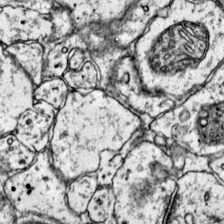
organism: Mouse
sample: Primary visual cortex